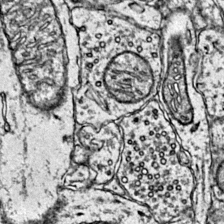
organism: Mouse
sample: Primary visual cortex